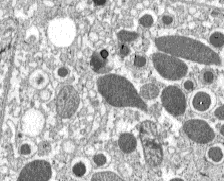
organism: C57BL Mouse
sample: Pancreatic islet